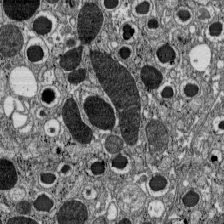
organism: C57BL Mouse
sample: Pancreatic islet